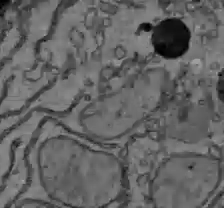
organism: C57BL Mouse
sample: Liver